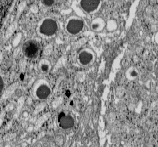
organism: C57BL Mouse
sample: Pancreatic islet